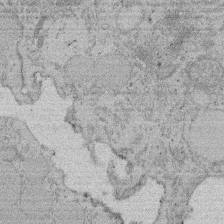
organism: Rat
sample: Salivary granule